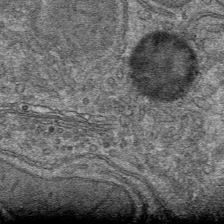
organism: Mouse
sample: Mouse hepatocytes